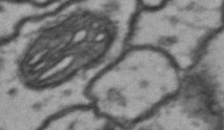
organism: Drosophila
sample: Brain